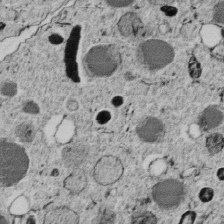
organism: C. elegans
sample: C. elegans embryo early stage